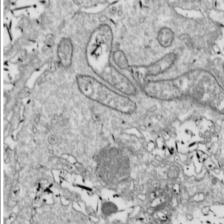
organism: Drosophila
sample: Cell division; meiosis; drosophila spermatocytes